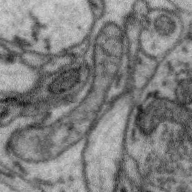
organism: Zebra finch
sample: Brain